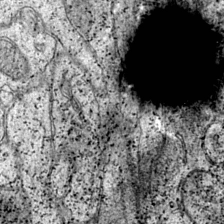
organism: Mouse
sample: Primary visual cortex